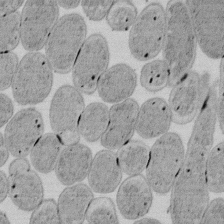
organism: E. coli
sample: Bacterial nucleoid